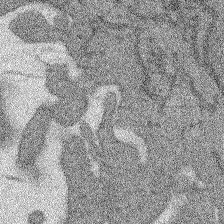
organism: Human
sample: HeLa cells